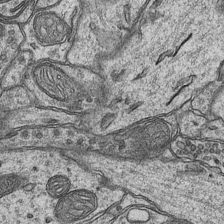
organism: Mouse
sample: CA1 Hippocampus